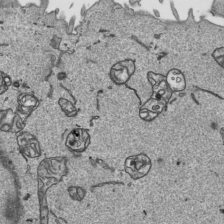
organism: Human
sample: Mitochondria in HCT116 cells